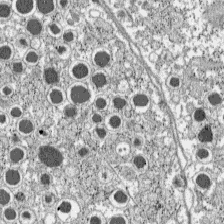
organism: C57BL Mouse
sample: Pancreatic islet